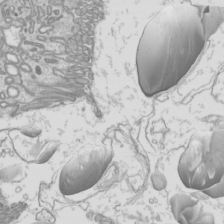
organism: Mouse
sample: Cilia; mouse epididymis